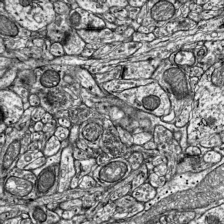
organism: Mouse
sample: Visual Cortex